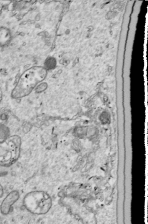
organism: Drosophila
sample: Cell division; meiosis; drosophila spermatocytes